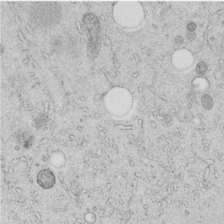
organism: C. elegans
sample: C. elegans embryo early stage